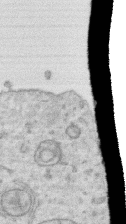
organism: Human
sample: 1205lu cells